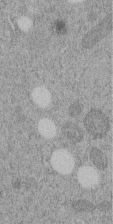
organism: C. elegans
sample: C. elegans embryo early stage